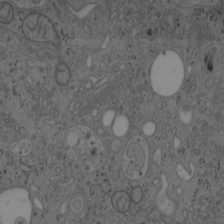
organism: Mouse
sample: OT-I killer T cells with ID8 ovarian cancer cells